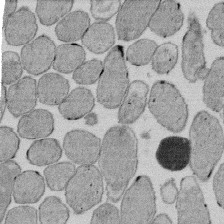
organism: E. coli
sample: Bacterial nucleoid